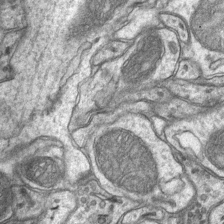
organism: Mouse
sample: CA1 Hippocampus